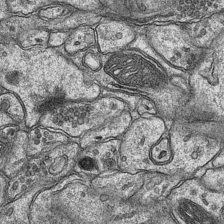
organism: Mouse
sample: CA1 Hippocampus